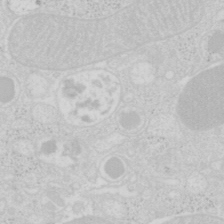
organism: Mouse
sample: Pancreas